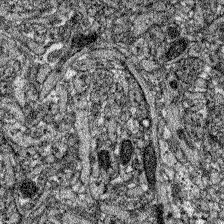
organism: Zebrafish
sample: Larval olfactory bulb